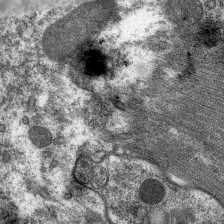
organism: C. elegans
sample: Pharynx